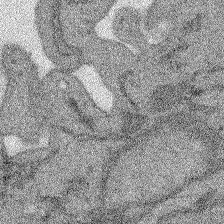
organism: Human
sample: HeLa cells